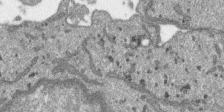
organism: Human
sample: Lung epithelial cells infected with SARS-CoV-2